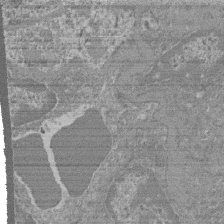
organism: Mouse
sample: Glomerulus